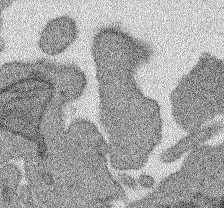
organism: Human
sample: HeLa cells